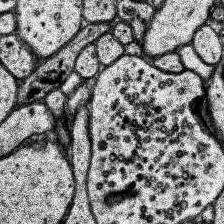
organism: Human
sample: Temporal Lobe